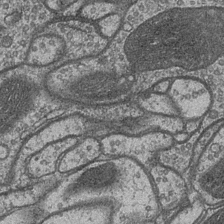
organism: Drosophila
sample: Optic medulla